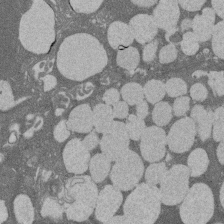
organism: Rat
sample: Salivary granule